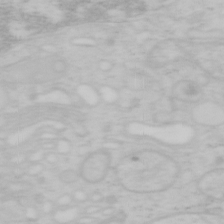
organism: Mouse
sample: OT-I killer T cells with ID8 ovarian cancer cells